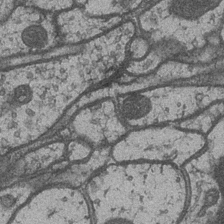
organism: Drosophila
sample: Optic medulla